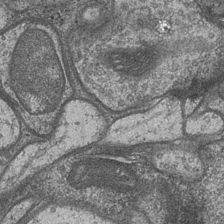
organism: Drosophila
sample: Optic medulla